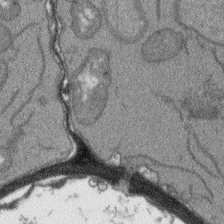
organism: Arabidopsis thaliana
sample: Root tip